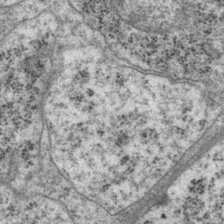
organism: P. pacificus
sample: Pharynx